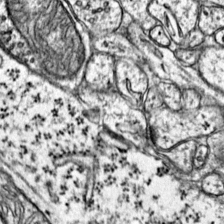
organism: Mouse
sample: Primary visual cortex